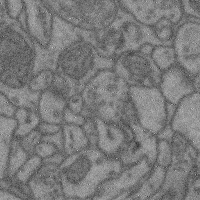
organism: Mouse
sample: Cerebral cortex